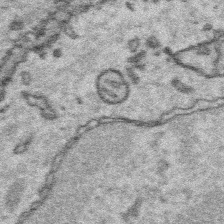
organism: Platynereis dumerilii